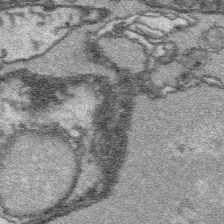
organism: Platynereis dumerilii